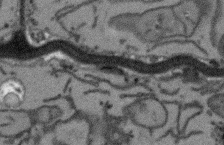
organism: Arabidopsis thaliana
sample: Root tip